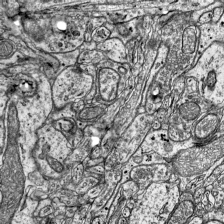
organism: Mouse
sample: Visual Cortex